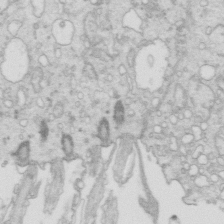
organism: Mouse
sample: Multiciliated cells